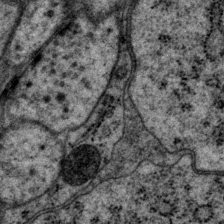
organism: P. pacificus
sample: Pharynx